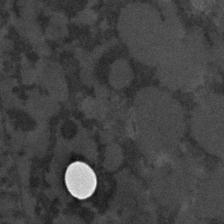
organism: C. elegans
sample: C. elegans embryo